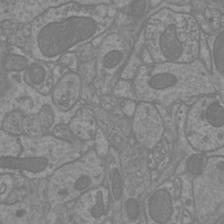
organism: Mouse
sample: Cortical neurons